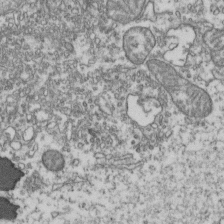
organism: Human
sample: Activated Jurkat CD4+ T cells